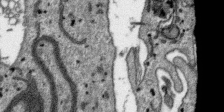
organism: Human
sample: Lung epithelial cells, uninfected (mock) control